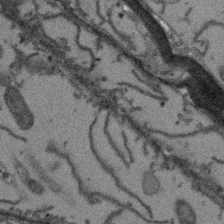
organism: Arabidopsis thaliana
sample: Root tip